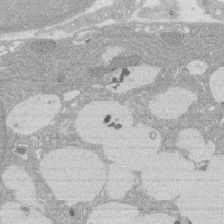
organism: Rat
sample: Salivary granule